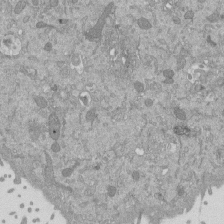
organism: Mouse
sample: ED-1 cell nuclei; centrioles